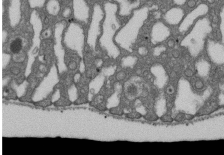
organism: Drosophila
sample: Nephrocyte